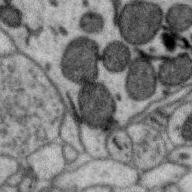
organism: Zebra finch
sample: Brain